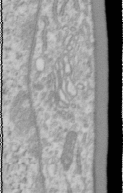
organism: Human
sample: Cilia; basal body in RPE cells